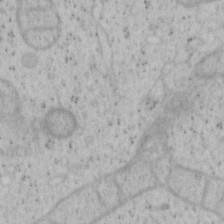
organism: Human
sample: HeLa cells